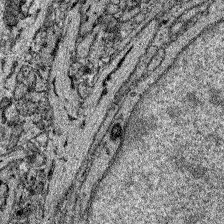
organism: Zebrafish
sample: Larval olfactory bulb